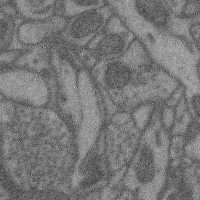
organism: Mouse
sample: Cerebral cortex